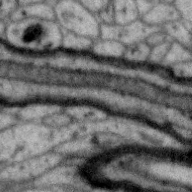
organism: Zebra finch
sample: Brain